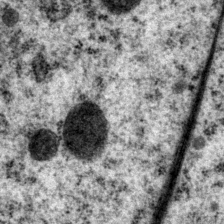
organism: P. pacificus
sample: Pharynx